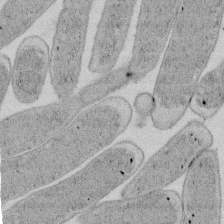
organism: E. coli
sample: Bacterial nucleoid